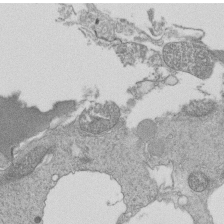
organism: Tetrahymena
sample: Cilia in tetrahymena